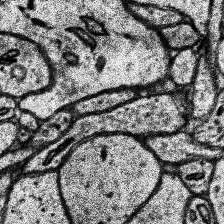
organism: Human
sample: Temporal Lobe